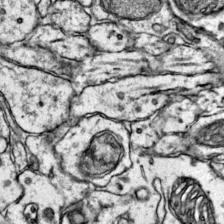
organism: Mouse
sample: Primary visual cortex